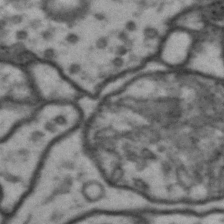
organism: Drosophila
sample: Brain